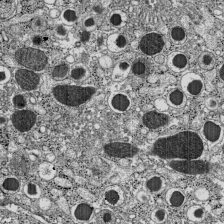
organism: C57BL Mouse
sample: Pancreatic islet